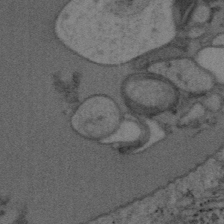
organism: Human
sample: HeLa cells